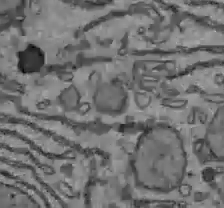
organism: C57BL Mouse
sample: Liver